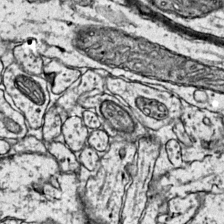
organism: Mouse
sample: Primary visual cortex